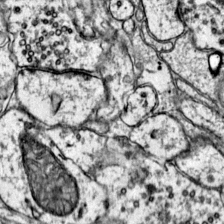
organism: Mouse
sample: Primary visual cortex